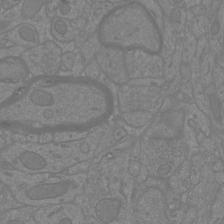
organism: Mouse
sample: Cortical neurons